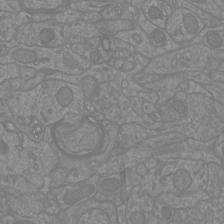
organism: Mouse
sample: Cortical neurons